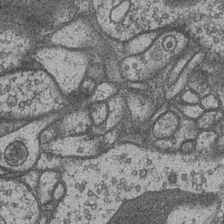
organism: Drosophila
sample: Optic medulla